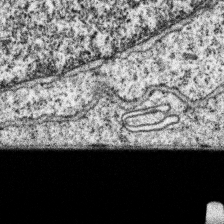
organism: Human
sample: HeLa cells